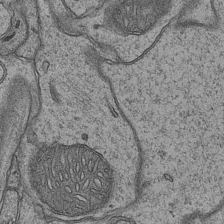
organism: Mouse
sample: CA1 Hippocampus